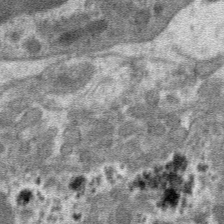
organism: Mouse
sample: Mouse hepatocytes